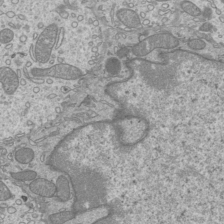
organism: Mouse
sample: Cilia; mouse epididymis